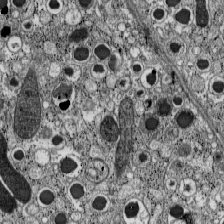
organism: C57BL Mouse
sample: Pancreatic islet